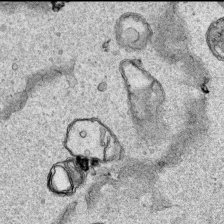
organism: Human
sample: Mitochondria in HCT116 cells